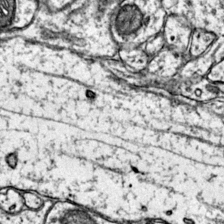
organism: Mouse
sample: Primary visual cortex